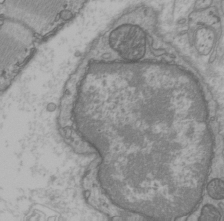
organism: C57BL Mouse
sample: Heart